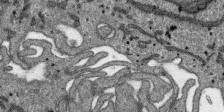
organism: Human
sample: Lung epithelial cells, uninfected (mock) control